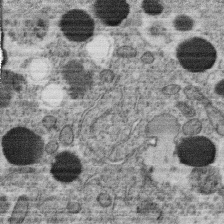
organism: C. elegans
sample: C. elegans oocyte; sperm cells